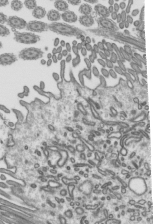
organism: Mouse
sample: Mouse epididymis efferent ductule cilia